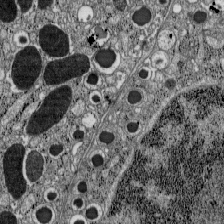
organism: C57BL Mouse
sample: Pancreatic islet